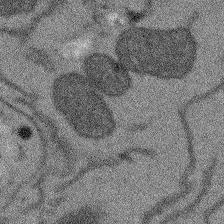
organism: Arabidopsis thaliana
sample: Root tip